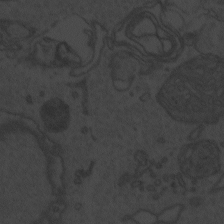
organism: Zebrafish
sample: Macrophage infected with Toxoplasma gondii